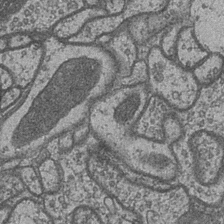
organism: Drosophila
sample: Optic medulla